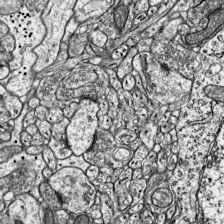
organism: Mouse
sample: Visual Cortex